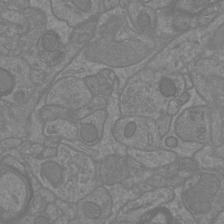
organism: Mouse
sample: Cortical neurons